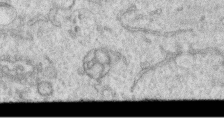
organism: Human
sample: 1205lu cells